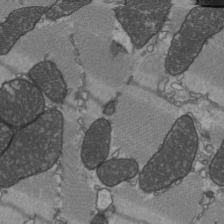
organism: C57BL Mouse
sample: Heart